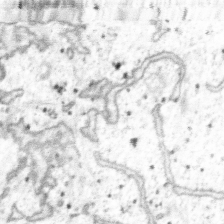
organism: Human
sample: HeLa cells